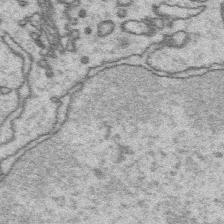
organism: Platynereis dumerilii